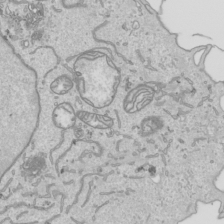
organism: Human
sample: Mitochondria in HCT116 cells